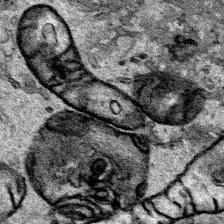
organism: Human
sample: Mitochondria in HCT116 cells